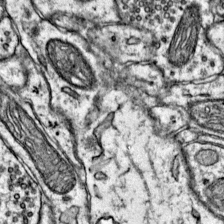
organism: Mouse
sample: Primary visual cortex